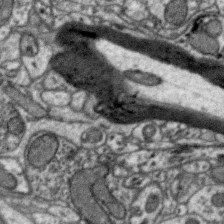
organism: Zebra finch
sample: Brain